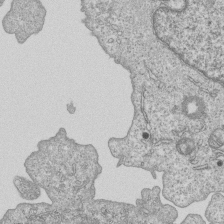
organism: Human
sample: MDA-MB-231 cells